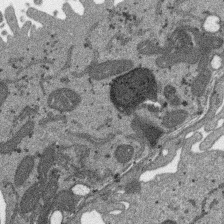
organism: Human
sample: Lung epithelial cells infected with SARS-CoV-2